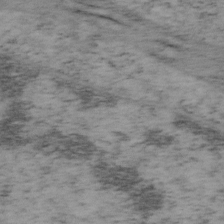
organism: Mouse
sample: OT-I killer T cells with ID8 ovarian cancer cells